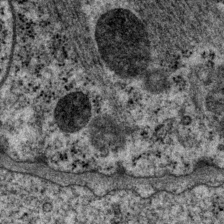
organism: P. pacificus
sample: Pharynx